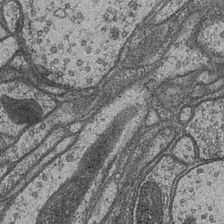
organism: Drosophila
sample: Optic medulla